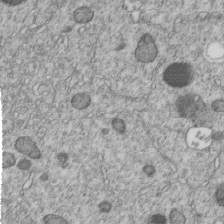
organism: C. elegans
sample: C. elegans embryo early stage